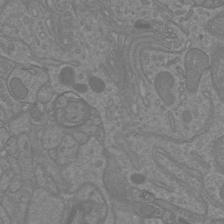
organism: Mouse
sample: Cortical neurons